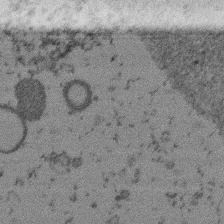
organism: Mouse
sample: Dividing mouse embryo 1 cell stage